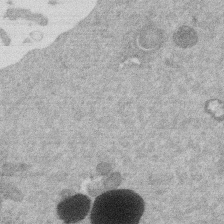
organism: Mouse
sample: Dividing mouse embryo 1 cell stage